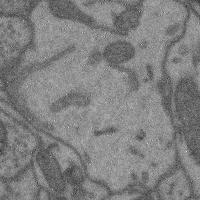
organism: Mouse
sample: Cerebral cortex